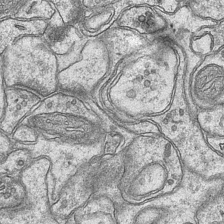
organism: Mouse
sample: CA1 Hippocampus